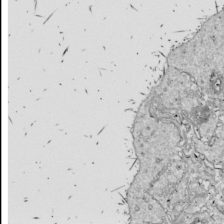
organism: Drosophila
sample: Cell division; meiosis; drosophila spermatocytes